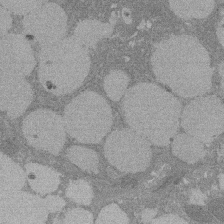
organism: Rat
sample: Salivary granule